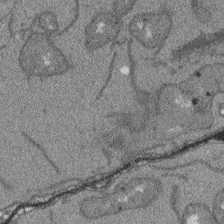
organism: Arabidopsis thaliana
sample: Root tip